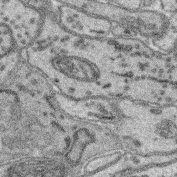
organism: Mouse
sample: Retina